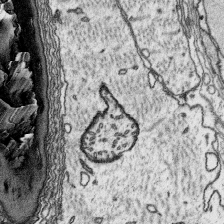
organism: Platynereis dumerilii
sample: Parapodia